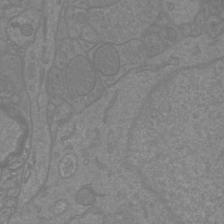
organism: Mouse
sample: Cortical neurons